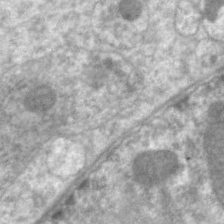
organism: C. elegans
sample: Pharynx